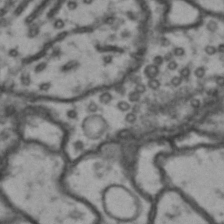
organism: Drosophila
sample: Brain